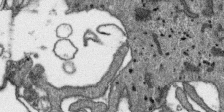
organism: Human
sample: Lung epithelial cells, uninfected (mock) control